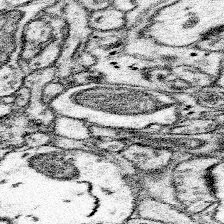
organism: Mouse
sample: Somatosensory cortex neuropil